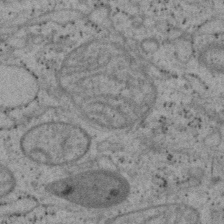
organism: Human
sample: HeLa cells